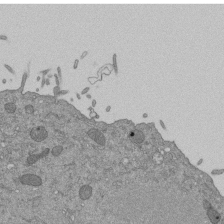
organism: Mouse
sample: ED-1 cell nuclei; centrioles